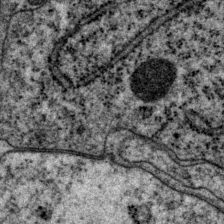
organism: P. pacificus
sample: Pharynx